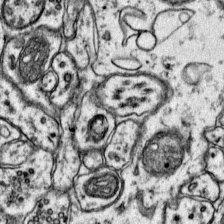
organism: Mouse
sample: Primary visual cortex